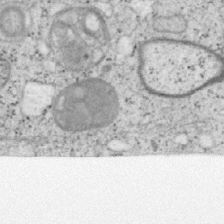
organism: Mouse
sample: OT-I killer T cells with ID8 ovarian cancer cells